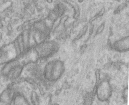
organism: Human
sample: Centriole in RPE cells